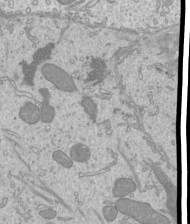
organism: Mouse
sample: Cilia; mouse epididymis